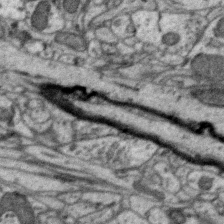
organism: Zebra finch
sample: Brain